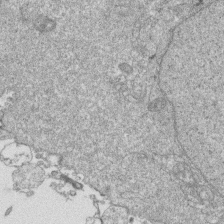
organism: Human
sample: HeLa cell HIV synapse